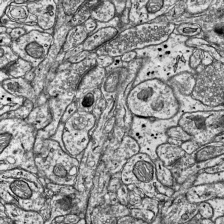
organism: Mouse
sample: Visual Cortex